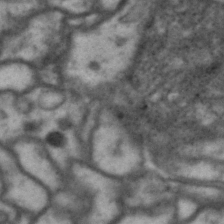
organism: Drosophila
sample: Brain